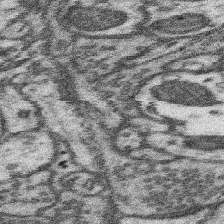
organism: Mouse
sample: Somatosensory cortex neuropil